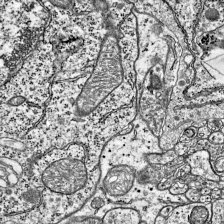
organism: Mouse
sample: Visual Cortex